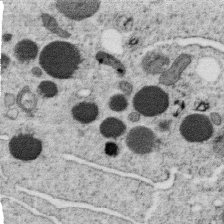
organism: C. elegans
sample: C. elegans oocyte; sperm cells